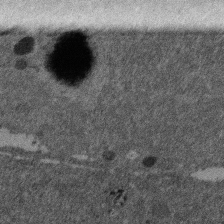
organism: Mouse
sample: Dividing mouse embryo 1 cell stage